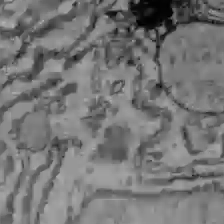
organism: C57BL Mouse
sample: Liver